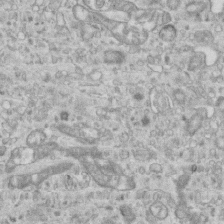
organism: Mouse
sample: Centriole in ependymal cells